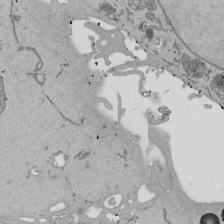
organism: Mouse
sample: ED-1 cell nuclei; centrioles